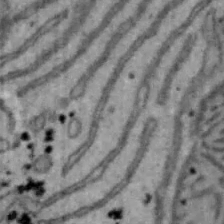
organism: Mouse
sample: Liver